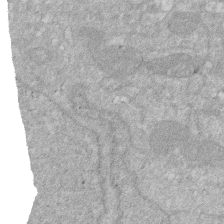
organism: Human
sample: HIV infected U937 cells